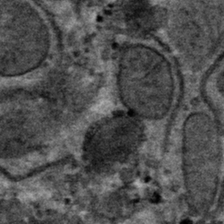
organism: Mouse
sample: Mouse hepatocytes